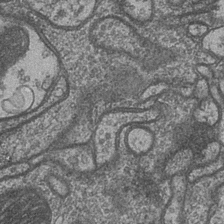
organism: Drosophila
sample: Optic medulla